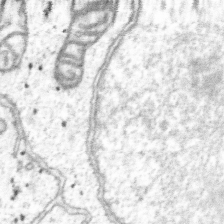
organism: Human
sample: HeLa cells